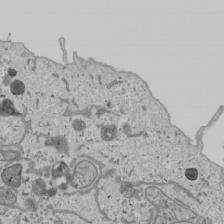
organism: Human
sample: Mitochondria in U2OS cells